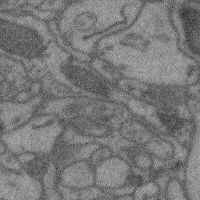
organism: Mouse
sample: Cerebral cortex